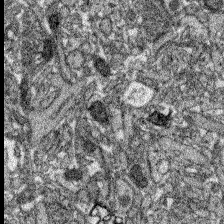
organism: Zebrafish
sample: Larval olfactory bulb